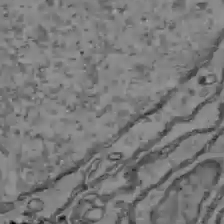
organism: C57BL Mouse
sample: Liver